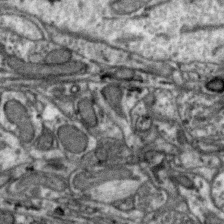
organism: Zebra finch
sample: Brain